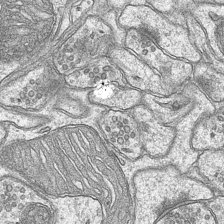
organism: Mouse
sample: CA1 Hippocampus